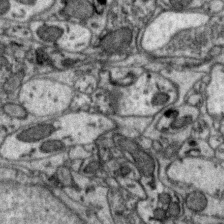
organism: Zebra finch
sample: Brain